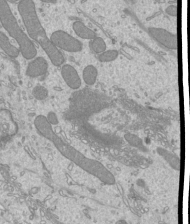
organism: Mouse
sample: Cilia; mouse epididymis